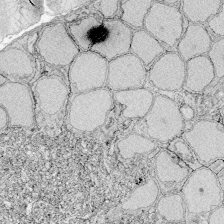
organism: Zebrafish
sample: Whole-Brain